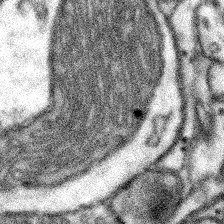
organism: Mouse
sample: Somatosensory cortex neuropil